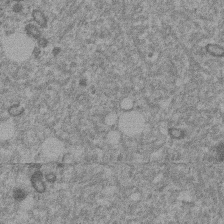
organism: Mouse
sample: Dividing mouse embryo 1 cell stage